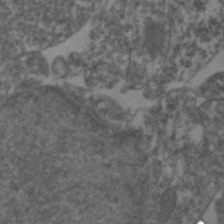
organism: Zebrafish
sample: Zebrafish embryo